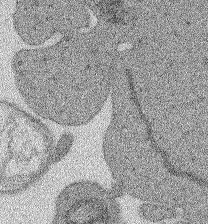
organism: Human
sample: HeLa cells